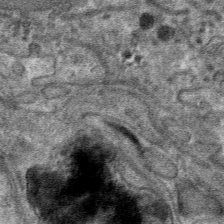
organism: Mouse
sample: Mouse hepatocytes